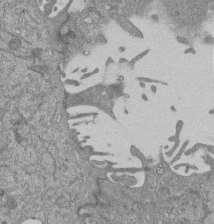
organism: Mouse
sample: ED-1 cell nuclei; centrioles